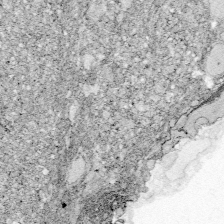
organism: Zebrafish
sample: Whole-Brain